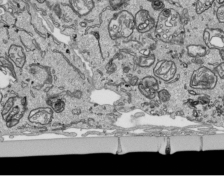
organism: Human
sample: Mitochondria in HCT116 cells